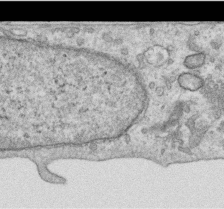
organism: Human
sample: Centriole in RPE cells